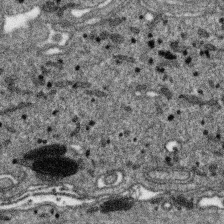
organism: Human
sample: Lung epithelial cells infected with SARS-CoV-2